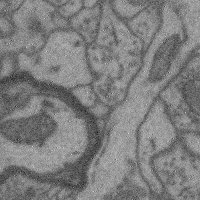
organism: Mouse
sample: Cerebral cortex